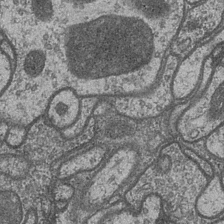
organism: Drosophila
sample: Optic medulla